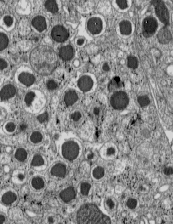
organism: C57BL Mouse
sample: Pancreatic islet